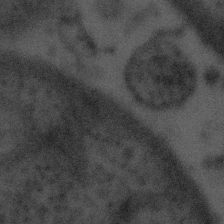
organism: Tuwongella immobilis